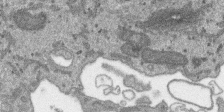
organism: Human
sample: Lung epithelial cells infected with SARS-CoV-2